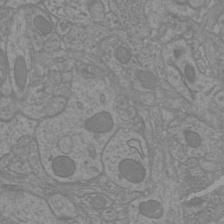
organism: Mouse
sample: Cortical neurons